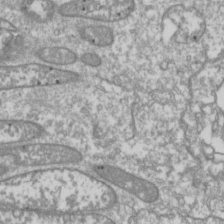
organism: Drosophila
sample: Cell division; meiosis; drosophila spermatocytes